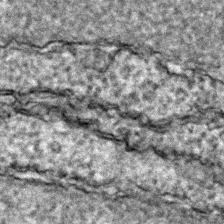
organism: Zebrafish